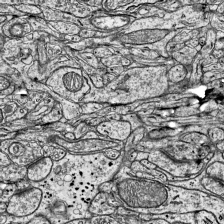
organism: Mouse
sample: Visual Cortex